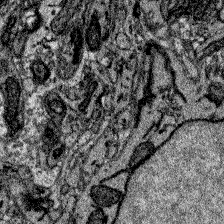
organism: Zebrafish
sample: Larval olfactory bulb